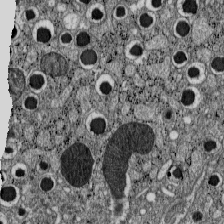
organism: C57BL Mouse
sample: Pancreatic islet